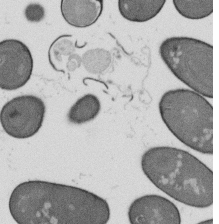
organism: B. subtilis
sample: Bacterial spore